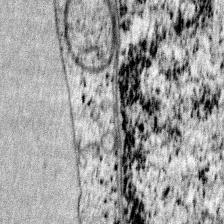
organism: Human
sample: HeLa cells